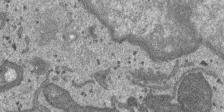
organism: Human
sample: Lung epithelial cells infected with SARS-CoV-2